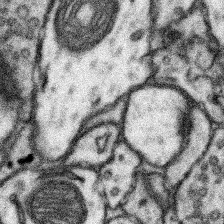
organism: Mouse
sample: Somatosensory cortex neuropil